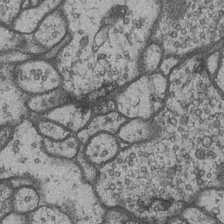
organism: Drosophila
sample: Optic medulla